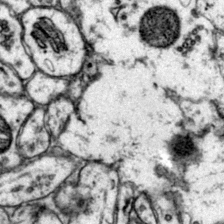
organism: Mouse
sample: Primary visual cortex